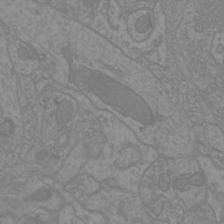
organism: Mouse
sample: Cortical neurons